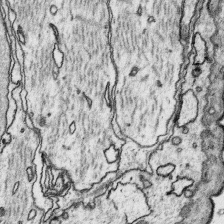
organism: Platynereis dumerilii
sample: Parapodia